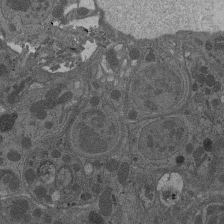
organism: Drosophila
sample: Antenna